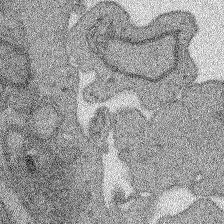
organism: Human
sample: HeLa cells